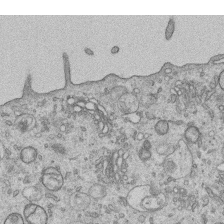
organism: Human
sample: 1205lu cells